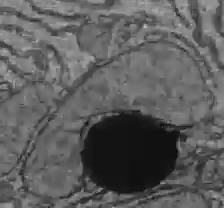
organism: C57BL Mouse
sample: Liver